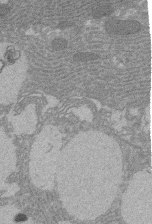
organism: Rat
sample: Salivary granule